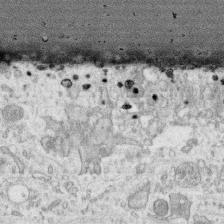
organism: Human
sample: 1205lu cells